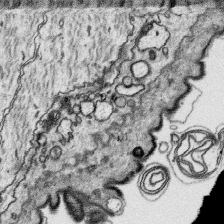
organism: Platynereis dumerilii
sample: Parapodia